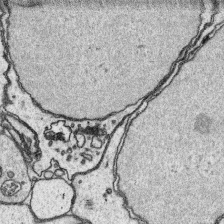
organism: Platynereis dumerilii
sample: Parapodia